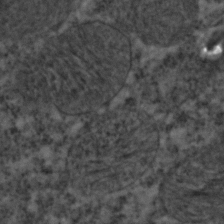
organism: C. elegans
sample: C. elegans embryo